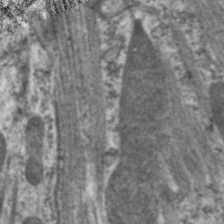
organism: C. elegans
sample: Pharynx